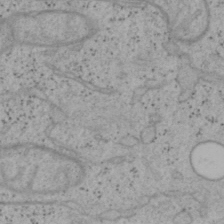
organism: Human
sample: HeLa cells